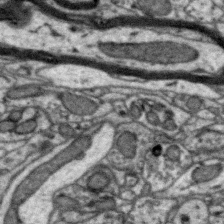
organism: Zebra finch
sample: Brain